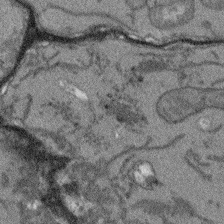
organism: Arabidopsis thaliana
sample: Root tip